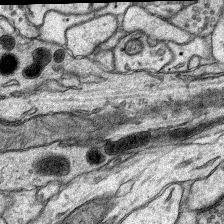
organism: Rat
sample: Hippocampus